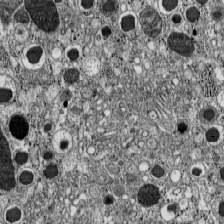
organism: C57BL Mouse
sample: Pancreatic islet